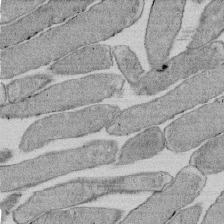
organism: E. coli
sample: Bacterial nucleoid